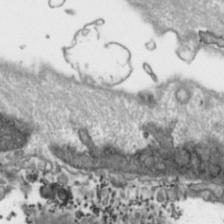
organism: Toxoplasma gondii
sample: Parasites in a vacuole inside a host cell